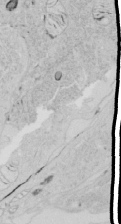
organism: Human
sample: Mitochondria in HCT116 cells